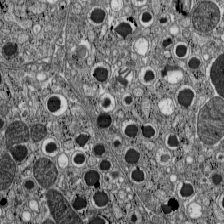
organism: C57BL Mouse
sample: Pancreatic islet